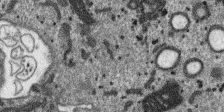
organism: Human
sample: Lung epithelial cells infected with SARS-CoV-2